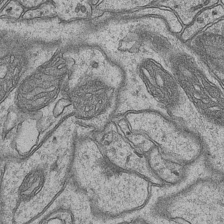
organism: Mouse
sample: CA1 Hippocampus